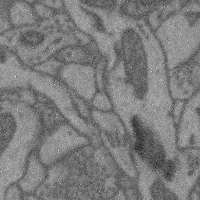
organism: Mouse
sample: Cerebral cortex